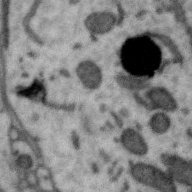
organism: Zebra finch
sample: Brain